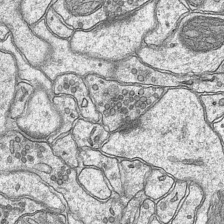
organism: Mouse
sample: CA1 Hippocampus